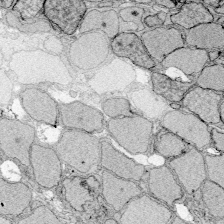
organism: Zebrafish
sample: Whole-Brain